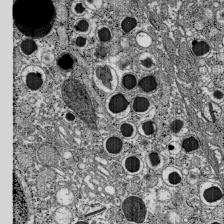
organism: C57BL Mouse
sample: Pancreatic islet